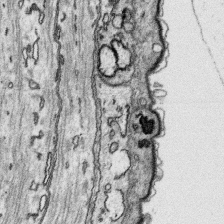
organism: Platynereis dumerilii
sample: Parapodia